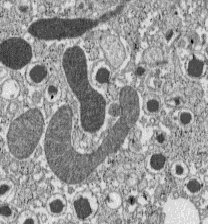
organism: C57BL Mouse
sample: Pancreatic islet